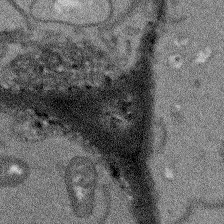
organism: Arabidopsis thaliana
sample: Root tip